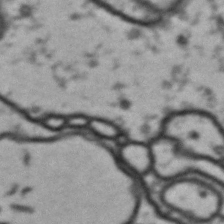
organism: Drosophila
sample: Brain